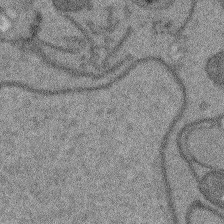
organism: Arabidopsis thaliana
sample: Root tip